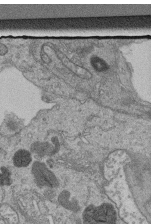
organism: Human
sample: Retinal organoid Rod and Cone cells